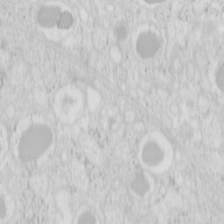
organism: Mouse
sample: Pancreas